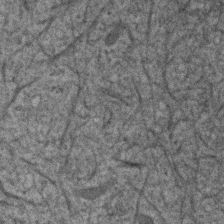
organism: Human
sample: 1205lu cells